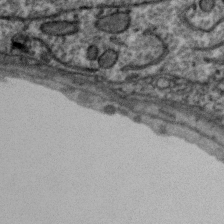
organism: Zebra finch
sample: Brain